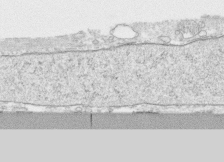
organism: Human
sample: CRL-1474